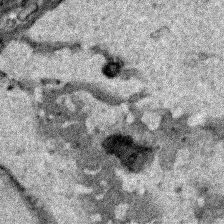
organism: Human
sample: Mitochondria in HCT116 cells